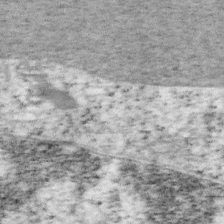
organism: Mouse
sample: OT-I killer T cells with ID8 ovarian cancer cells